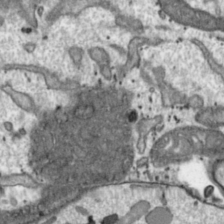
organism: Toxoplasma gondii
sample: Parasites in a vacuole inside a host cell